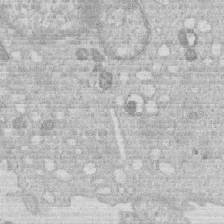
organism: Human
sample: Macrophage cells